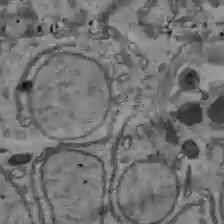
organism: C57BL Mouse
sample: Liver